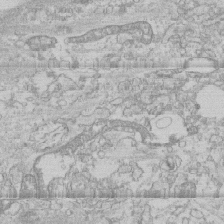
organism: Human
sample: CRL-1474